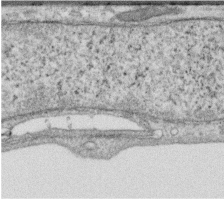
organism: Human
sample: Centriole in RPE cells